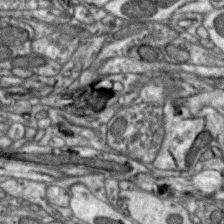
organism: Zebra finch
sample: Brain